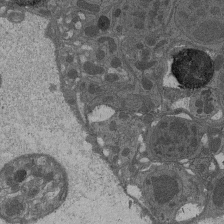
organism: Drosophila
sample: Antenna